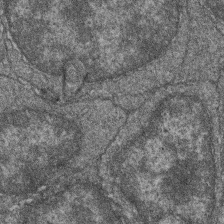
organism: Zebrafish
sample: Cilia; retinal pigment epithelium